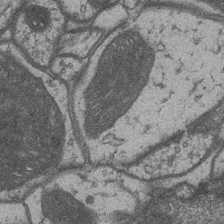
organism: Drosophila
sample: Optic medulla